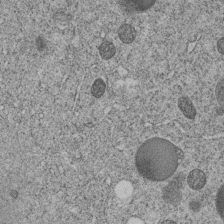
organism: C. elegans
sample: C. elegans embryo early stage